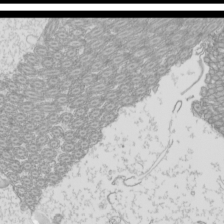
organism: Mouse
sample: Cilia; mouse epididymis